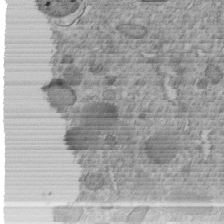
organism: C. elegans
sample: C. elegans embryo early stage